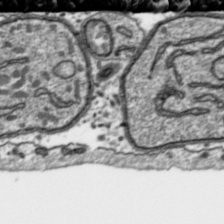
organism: Toxoplasma gondii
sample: Parasites in a vacuole inside a host cell